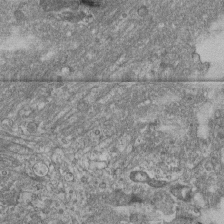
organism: Human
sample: Fibroblast cells